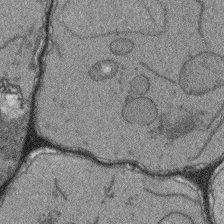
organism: Arabidopsis thaliana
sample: Root tip